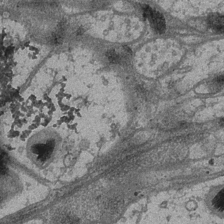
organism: Drosophila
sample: Optic medulla